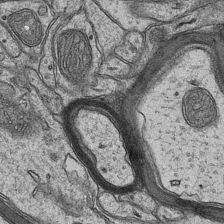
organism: Mouse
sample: CA1 Hippocampus